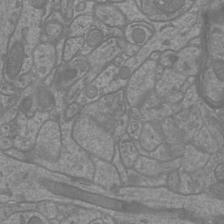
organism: Mouse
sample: Cortical neurons